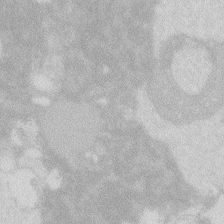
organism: Zebrafish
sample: Macrophage